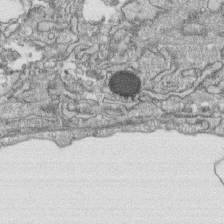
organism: Human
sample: CRL-1474